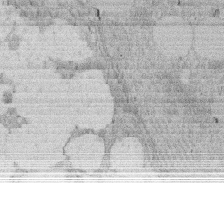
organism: Rat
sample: Salivary granule